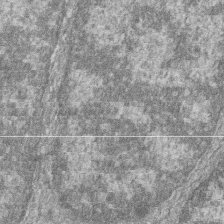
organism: Zebrafish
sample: Cilia; retinal pigment epithelium